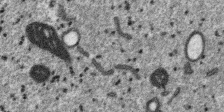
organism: Human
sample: Lung epithelial cells infected with SARS-CoV-2